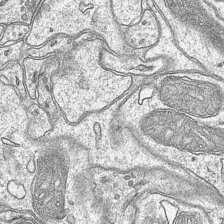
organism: Mouse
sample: CA1 Hippocampus